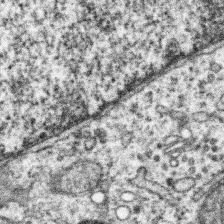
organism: Human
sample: HeLa cells